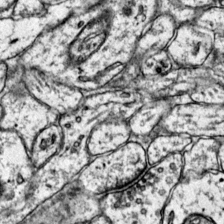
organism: Mouse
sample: Primary visual cortex